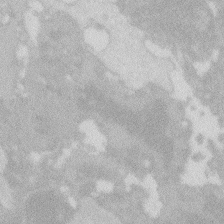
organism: Zebrafish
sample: Macrophage